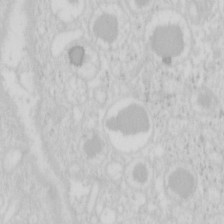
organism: Mouse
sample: Pancreas